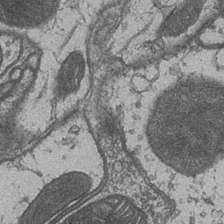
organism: Drosophila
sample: Optic medulla